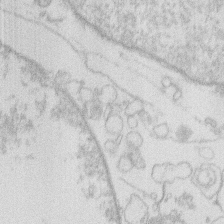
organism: Human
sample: Macrophage cells